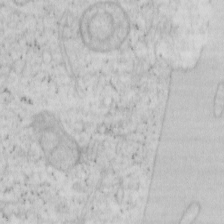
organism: Human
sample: HeLa cells